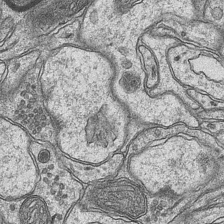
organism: Mouse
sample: CA1 Hippocampus